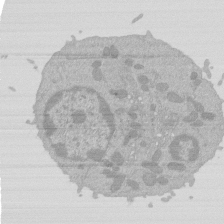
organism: Mouse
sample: Activated Pmel transgenic CD8+ T Cells